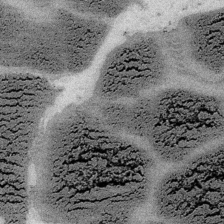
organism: Embia sp.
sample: Silk gland